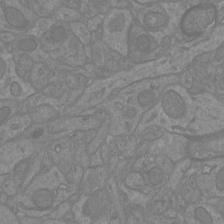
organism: Mouse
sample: Cortical neurons